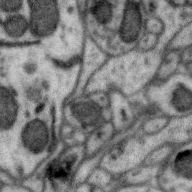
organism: Zebra finch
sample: Brain